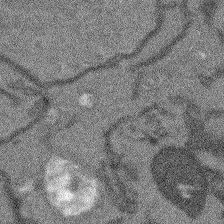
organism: Arabidopsis thaliana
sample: Root tip